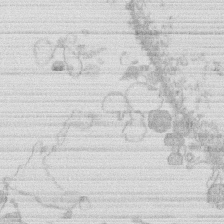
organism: Human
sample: Macrophage cells